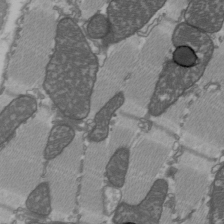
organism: C57BL Mouse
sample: Heart